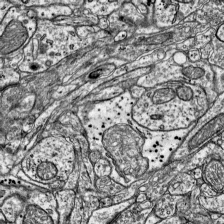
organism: Mouse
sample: Visual Cortex